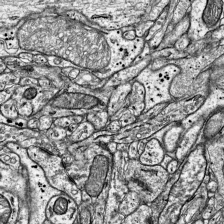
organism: Mouse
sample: Visual Cortex